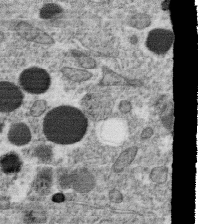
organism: C. elegans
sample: C. elegans oocyte; sperm cells